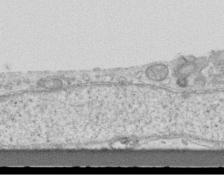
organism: Mouse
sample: Centriole in ependymal cells